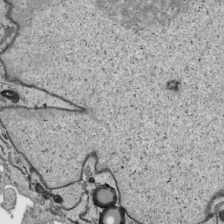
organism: Human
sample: Mitochondria in HCT116 cells